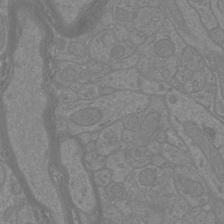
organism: Mouse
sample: Cortical neurons